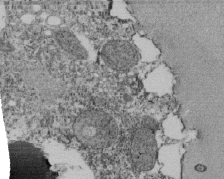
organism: Tetrahymena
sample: Cilia in tetrahymena